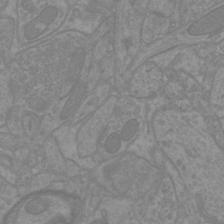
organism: Mouse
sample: Cortical neurons